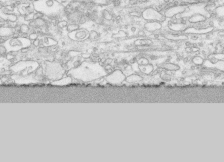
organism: Human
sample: CRL-1474